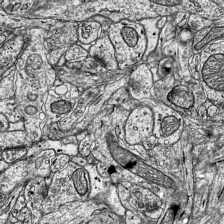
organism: Mouse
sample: Visual Cortex